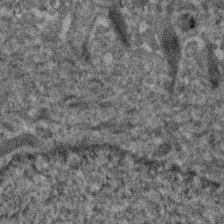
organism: Human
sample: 1205lu cells